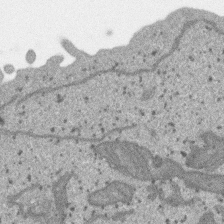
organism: Human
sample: Lung epithelial cells infected with SARS-CoV-2